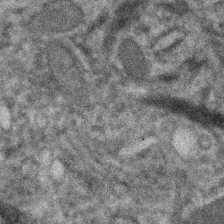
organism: Human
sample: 1205lu cells